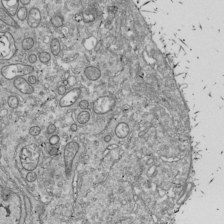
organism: Drosophila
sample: Cell division; meiosis; drosophila spermatocytes